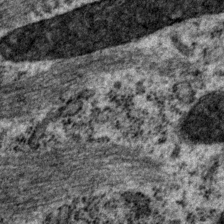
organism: P. pacificus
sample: Pharynx